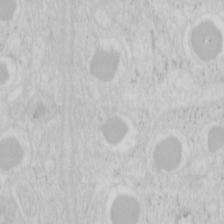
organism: Mouse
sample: Pancreas